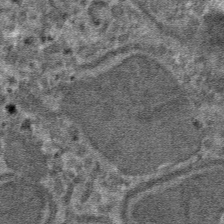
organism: Mouse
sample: Mouse hepatocytes